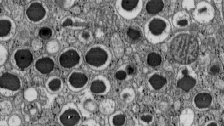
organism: C57BL Mouse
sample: Pancreatic islet